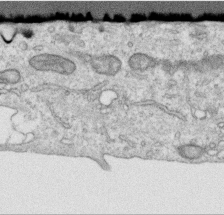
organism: Human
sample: Centriole in RPE cells